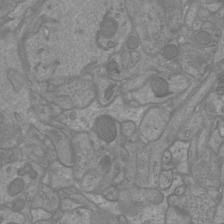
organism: Mouse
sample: Cortical neurons